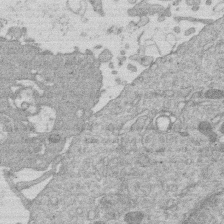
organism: Human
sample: Macrophage cells